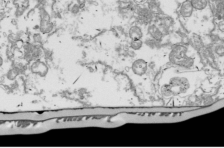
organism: Drosophila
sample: Cell division; meiosis; drosophila spermatocytes